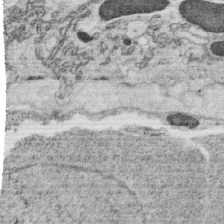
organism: C. elegans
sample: C. elegans oocyte; sperm cells